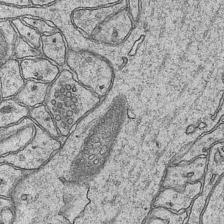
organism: Mouse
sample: CA1 Hippocampus